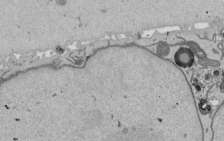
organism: Mouse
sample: ED-1 cell nuclei; centrioles